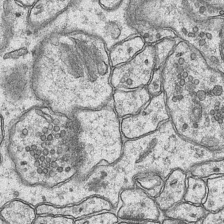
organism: Mouse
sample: CA1 Hippocampus